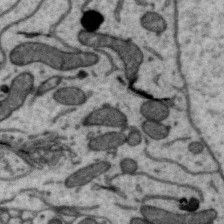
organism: Zebra finch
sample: Brain